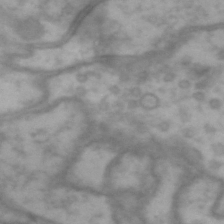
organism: Drosophila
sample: Brain